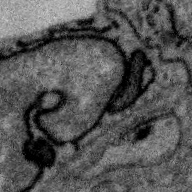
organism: Zebra finch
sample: Brain